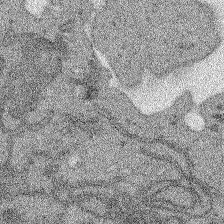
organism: Human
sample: HeLa cells